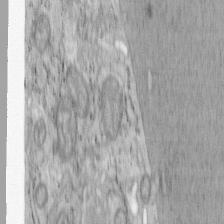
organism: Human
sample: HeLa cells